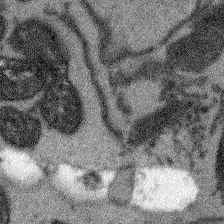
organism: Arabidopsis thaliana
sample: Root tip